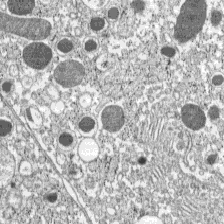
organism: C57BL Mouse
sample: Pancreatic islet